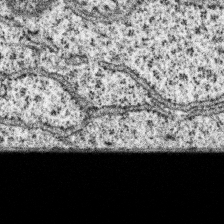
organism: Human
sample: HeLa cells